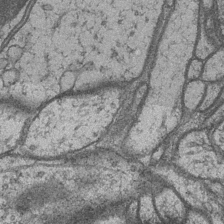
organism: Drosophila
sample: Optic medulla